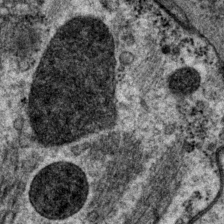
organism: P. pacificus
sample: Pharynx